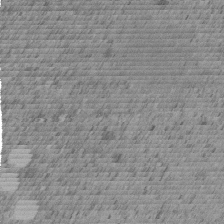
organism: C. elegans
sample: C. elegans embryo early stage